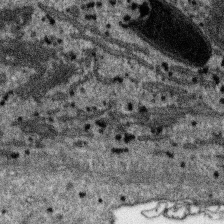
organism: Human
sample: Lung epithelial cells infected with SARS-CoV-2